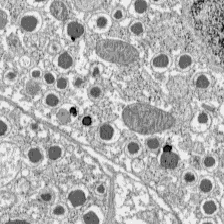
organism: C57BL Mouse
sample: Pancreatic islet